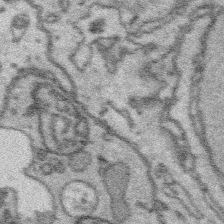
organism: Platynereis dumerilii